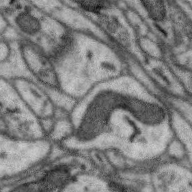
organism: Zebra finch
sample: Brain